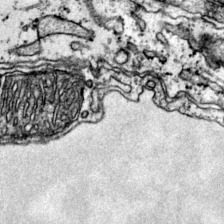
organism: Mouse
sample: Primary visual cortex